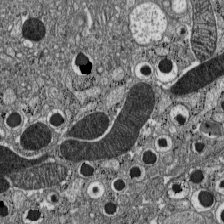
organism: C57BL Mouse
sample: Pancreatic islet